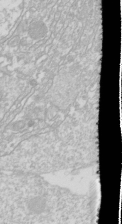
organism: Drosophila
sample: Cell division; meiosis; drosophila spermatocytes